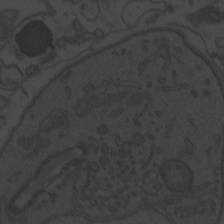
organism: Zebrafish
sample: Macrophage infected with Toxoplasma gondii